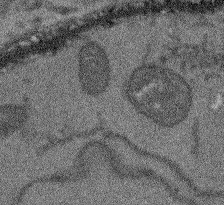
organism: Arabidopsis thaliana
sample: Root tip